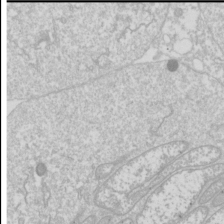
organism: Drosophila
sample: Cell division; meiosis; drosophila spermatocytes